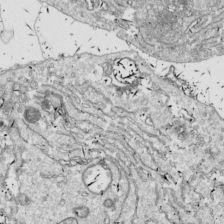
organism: Drosophila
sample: Cell division; meiosis; drosophila spermatocytes